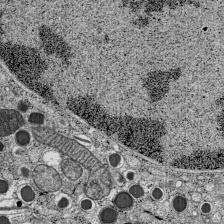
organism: C57BL Mouse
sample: Pancreatic islet